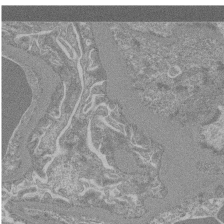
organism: Mouse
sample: Glomerulus